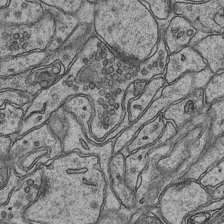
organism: Mouse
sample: CA1 Hippocampus